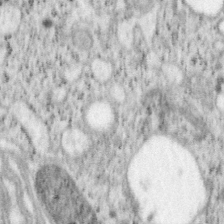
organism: Mouse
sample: OT-I killer T cells with ID8 ovarian cancer cells